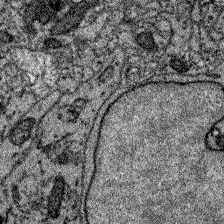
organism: Zebrafish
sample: Larval olfactory bulb